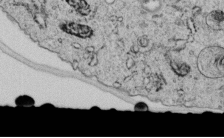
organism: C. elegans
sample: C. elegans embryo early stage